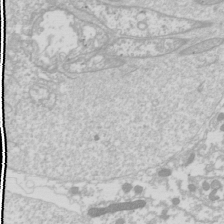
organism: Drosophila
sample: Cell division; meiosis; drosophila spermatocytes